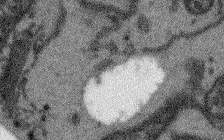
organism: Arabidopsis thaliana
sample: Root tip